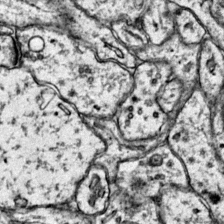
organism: Mouse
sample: Primary visual cortex